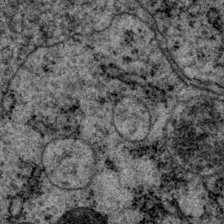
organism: P. pacificus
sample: Pharynx